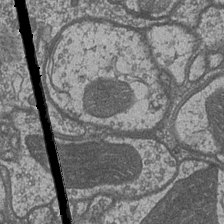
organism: Drosophila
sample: Optic medulla